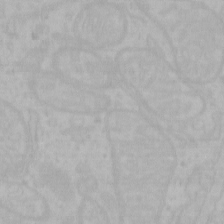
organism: Mouse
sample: Choroid plexus